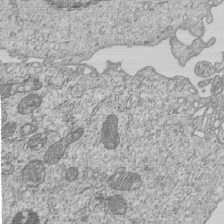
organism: Human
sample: MDA-MB-231 cells